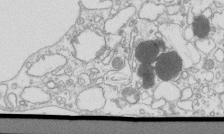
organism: Mouse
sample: Macrophages